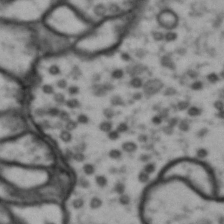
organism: Drosophila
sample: Brain